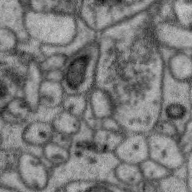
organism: Zebra finch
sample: Brain